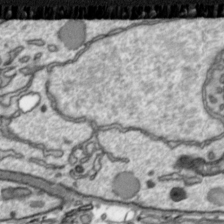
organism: Toxoplasma gondii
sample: Parasites in a vacuole inside a host cell